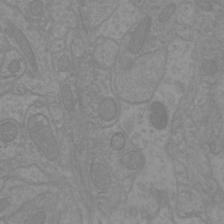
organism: Mouse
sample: Cortical neurons